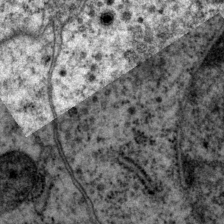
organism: P. pacificus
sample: Pharynx